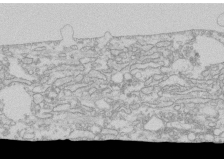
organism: Human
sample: CRL-1474